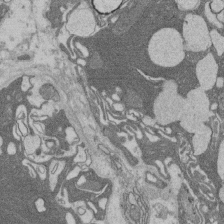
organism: Rat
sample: Salivary granule